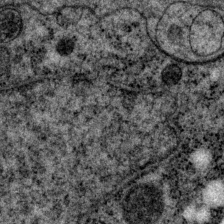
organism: P. pacificus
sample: Pharynx